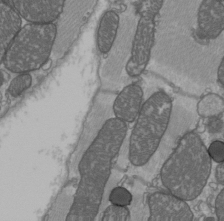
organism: C57BL Mouse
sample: Heart